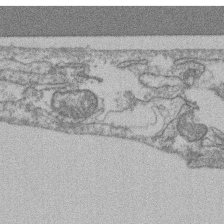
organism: Mouse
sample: T cell stromal cell synapse